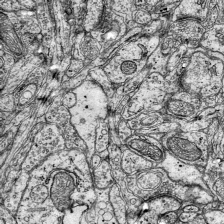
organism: Mouse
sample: Visual Cortex